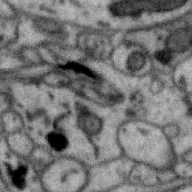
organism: Zebra finch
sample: Brain